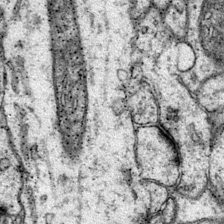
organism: Mouse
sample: Primary visual cortex